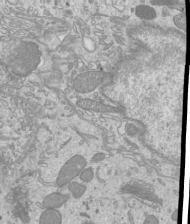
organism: Mouse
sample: Cilia; mouse epididymis